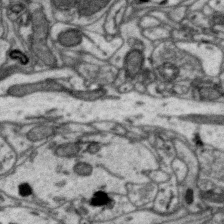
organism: Zebra finch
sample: Brain